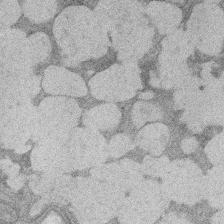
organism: Rat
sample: Salivary granule